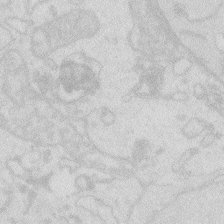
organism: Zebrafish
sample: Macrophage